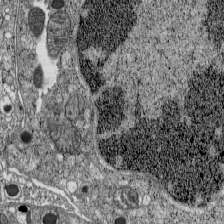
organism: C57BL Mouse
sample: Pancreatic islet